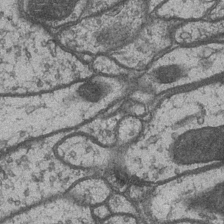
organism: Drosophila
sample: Optic medulla